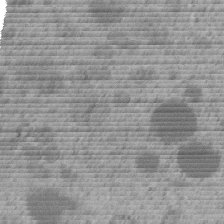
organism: C. elegans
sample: C. elegans embryo early stage